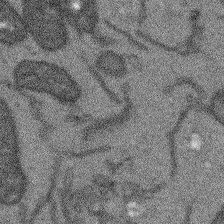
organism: Arabidopsis thaliana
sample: Root tip